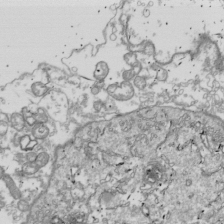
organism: Drosophila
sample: Cell division; meiosis; drosophila spermatocytes